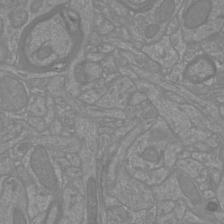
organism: Mouse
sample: Cortical neurons